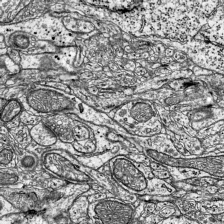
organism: Mouse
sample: Visual Cortex